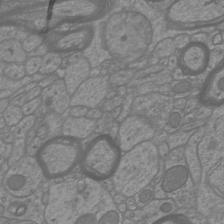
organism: Mouse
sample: Cortical neurons